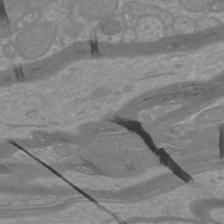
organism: Mouse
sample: Cortical neurons